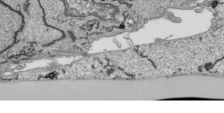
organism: Human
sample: Mitochondria in HCT116 cells